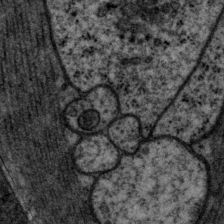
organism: P. pacificus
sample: Pharynx